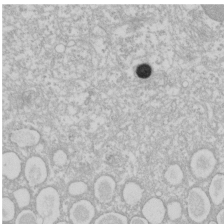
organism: Xenopus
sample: Cilia; centrioles in frog embryo cells